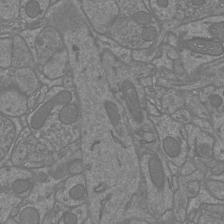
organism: Mouse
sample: Cortical neurons